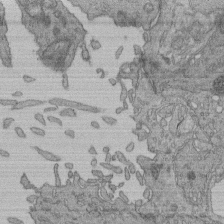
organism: Human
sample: Retinal organoid Rod and Cone cells